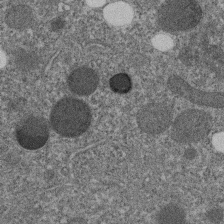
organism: C. elegans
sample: C. elegans embryo early stage